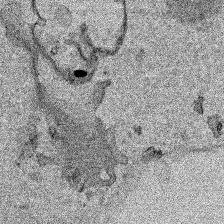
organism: Human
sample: Mitochondria in HCT116 cells